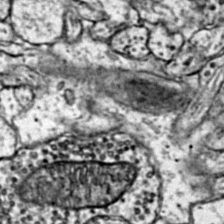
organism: Mouse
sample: Primary visual cortex